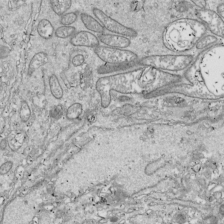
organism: Drosophila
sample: Cell division; meiosis; drosophila spermatocytes